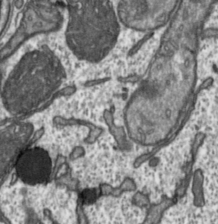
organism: Toxoplasma gondii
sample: Parasites in a vacuole inside a host cell